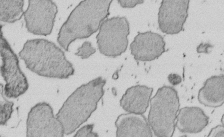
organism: E. coli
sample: Bacterial nucleoid